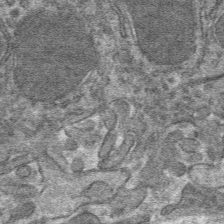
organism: Mouse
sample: Mouse hepatocytes